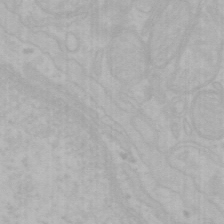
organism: Mouse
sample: Choroid plexus